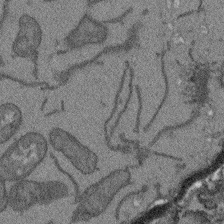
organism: Arabidopsis thaliana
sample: Root tip